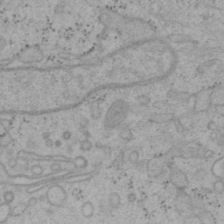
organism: Human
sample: HeLa cells